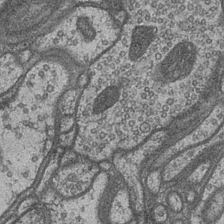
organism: Drosophila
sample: Optic medulla